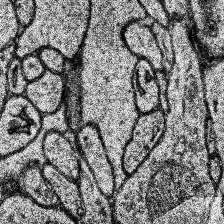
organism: Human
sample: Temporal Lobe